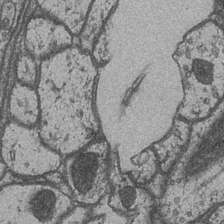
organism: Drosophila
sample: Optic medulla